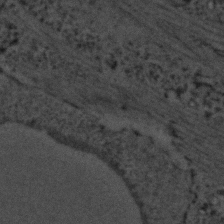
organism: C. elegans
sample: C. elegans embryo